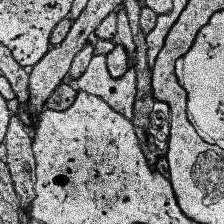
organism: Human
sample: Temporal Lobe